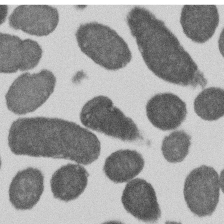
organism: E. coli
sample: Bacterial nucleoid